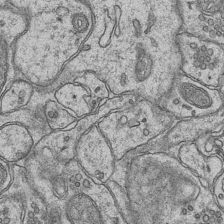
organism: Mouse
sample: CA1 Hippocampus